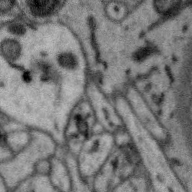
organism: Zebra finch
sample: Brain